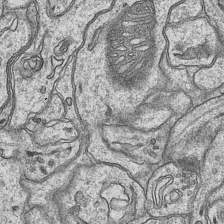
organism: Mouse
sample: CA1 Hippocampus